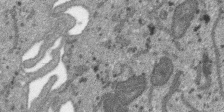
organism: Human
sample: Lung epithelial cells infected with SARS-CoV-2